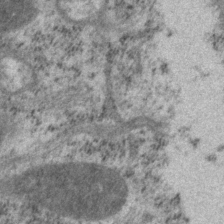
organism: P. pacificus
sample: Pharynx